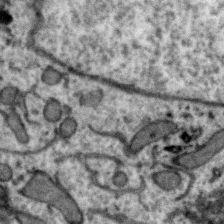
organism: Zebra finch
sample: Brain